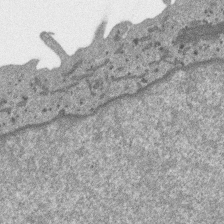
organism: Human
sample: Lung epithelial cells infected with SARS-CoV-2